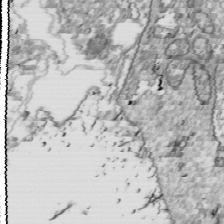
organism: Drosophila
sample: Cell division; meiosis; drosophila spermatocytes